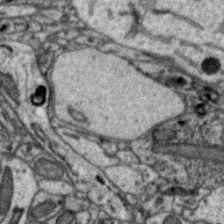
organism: Zebra finch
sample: Brain